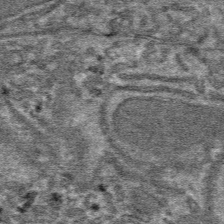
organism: Mouse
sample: Mouse hepatocytes